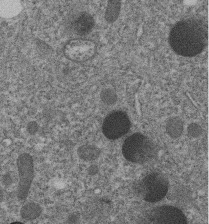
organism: C. elegans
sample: C. elegans embryo early stage